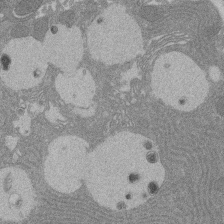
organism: Rat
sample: Salivary granule